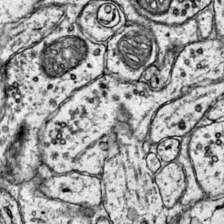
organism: Mouse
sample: Primary visual cortex